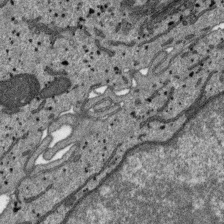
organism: Human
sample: Lung epithelial cells, uninfected (mock) control